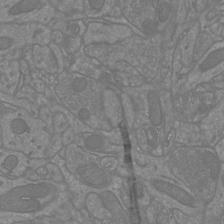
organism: Mouse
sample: Cortical neurons